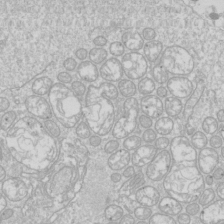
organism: Drosophila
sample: Cell division; meiosis; drosophila spermatocytes